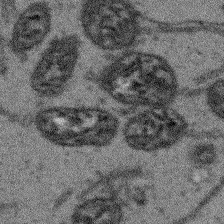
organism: Arabidopsis thaliana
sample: Root tip